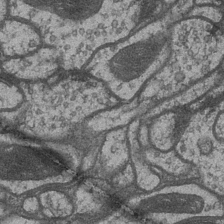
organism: Drosophila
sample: Optic medulla